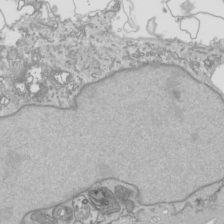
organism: Human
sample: Mitochondria in HCT116 cells